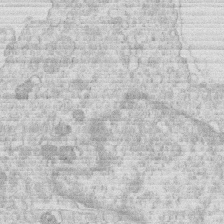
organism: Human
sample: Macrophage cells